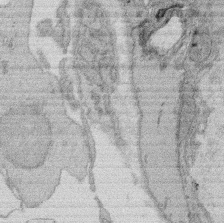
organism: Rat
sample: Salivary granule